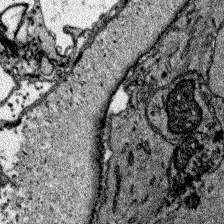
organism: Zebrafish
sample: Larval olfactory bulb